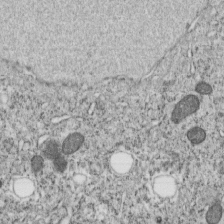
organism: C. elegans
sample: C. elegans embryo early stage